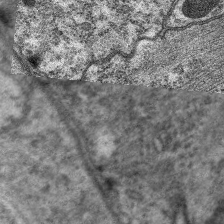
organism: C. elegans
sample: Pharynx